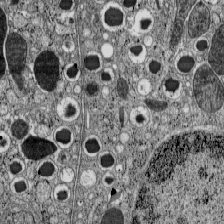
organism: C57BL Mouse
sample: Pancreatic islet